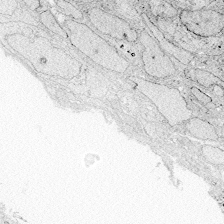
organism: Zebrafish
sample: Whole-Brain